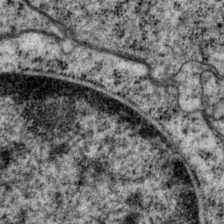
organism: P. pacificus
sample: Pharynx